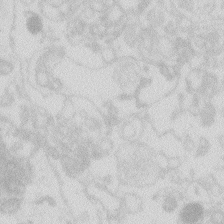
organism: Zebrafish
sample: Macrophage